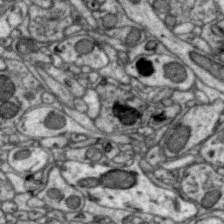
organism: Zebra finch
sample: Brain